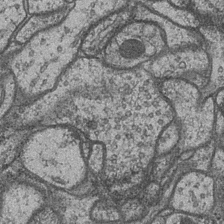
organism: Drosophila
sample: Optic medulla